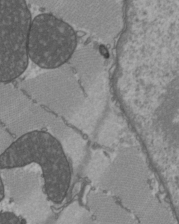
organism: C57BL Mouse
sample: Heart